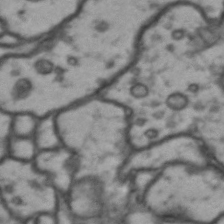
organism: Drosophila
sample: Brain